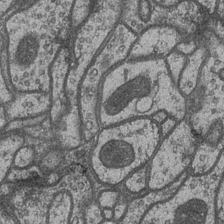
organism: Drosophila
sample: Optic medulla